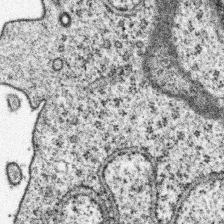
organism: Human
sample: HeLa cells